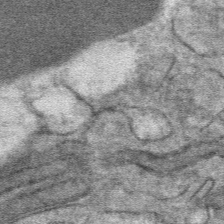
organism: Mouse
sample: Mouse hepatocytes